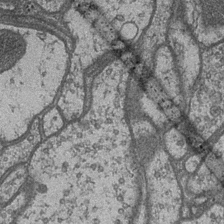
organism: Drosophila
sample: Optic medulla